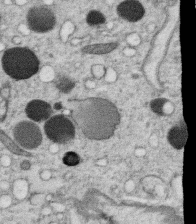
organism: C. elegans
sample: C. elegans oocyte; sperm cells